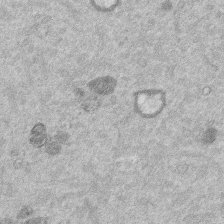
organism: Mouse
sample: Dividing mouse embryo 1 cell stage